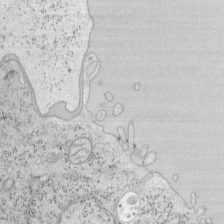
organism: Mouse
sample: OT-I killer T cells with ID8 ovarian cancer cells